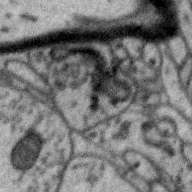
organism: Zebra finch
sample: Brain